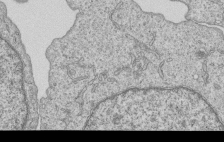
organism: Human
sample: MDA-MB-231 cells